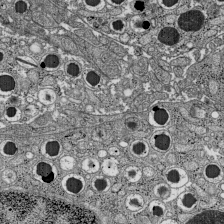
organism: C57BL Mouse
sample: Pancreatic islet